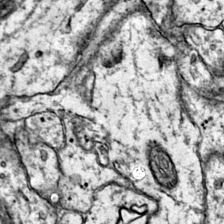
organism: Mouse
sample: Primary visual cortex